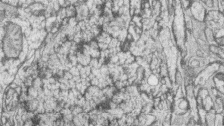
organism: Zebrafish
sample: synaptic ribbons in rod cells and cone cells